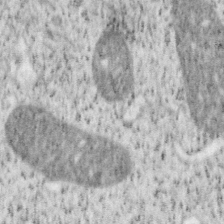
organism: Mouse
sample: OT-I killer T cells with ID8 ovarian cancer cells